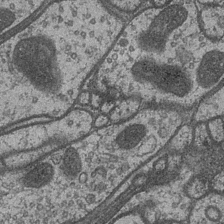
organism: Drosophila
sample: Optic medulla